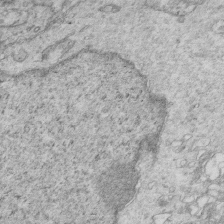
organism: Mouse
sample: Multiciliated cells